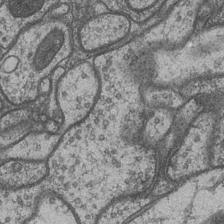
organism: Drosophila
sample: Optic medulla